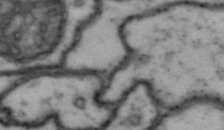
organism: Drosophila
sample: Brain